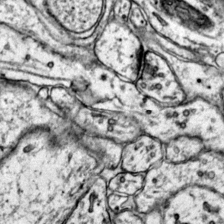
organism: Mouse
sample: Primary visual cortex